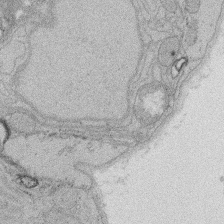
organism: Rat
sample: Salivary granule